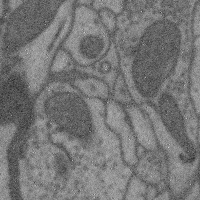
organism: Mouse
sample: Cerebral cortex